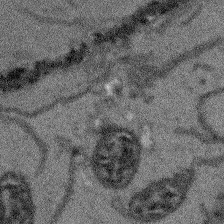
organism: Arabidopsis thaliana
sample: Root tip